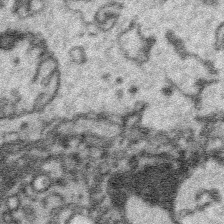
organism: Platynereis dumerilii